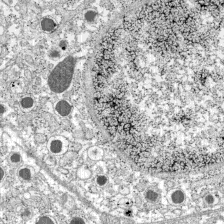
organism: C57BL Mouse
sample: Pancreatic islet